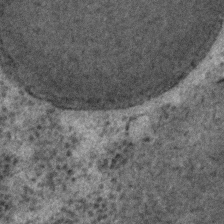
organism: C. elegans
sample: C. elegans embryo